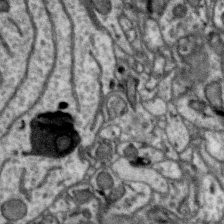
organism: Zebra finch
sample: Brain